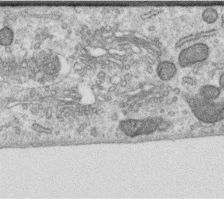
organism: Human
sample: Centriole in RPE cells